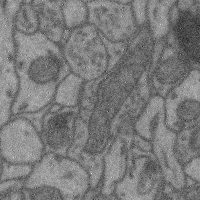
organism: Mouse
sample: Cerebral cortex